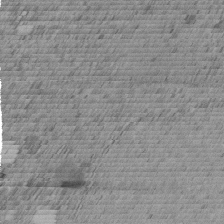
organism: C. elegans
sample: C. elegans embryo early stage